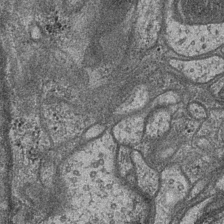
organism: Drosophila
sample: Optic medulla